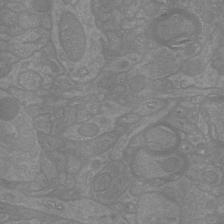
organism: Mouse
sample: Cortical neurons